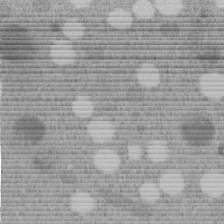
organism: C. elegans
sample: C. elegans embryo early stage